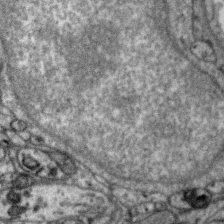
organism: Zebra finch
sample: Brain